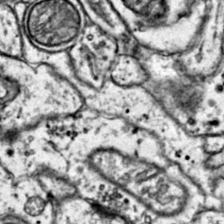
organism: Mouse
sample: Primary visual cortex